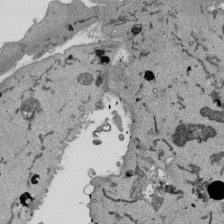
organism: Mouse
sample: ED-1 cell nuclei; centrioles